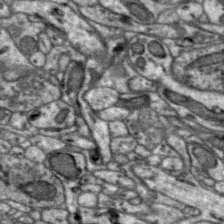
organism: Zebra finch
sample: Brain